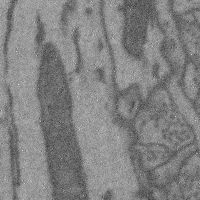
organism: Mouse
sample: Cerebral cortex